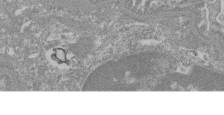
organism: Mouse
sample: Glomerulus